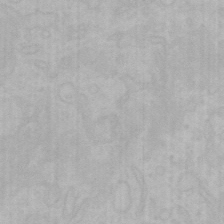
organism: Mouse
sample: Choroid plexus